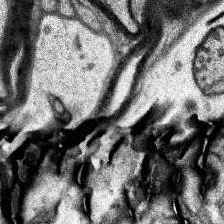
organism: Human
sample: Temporal Lobe